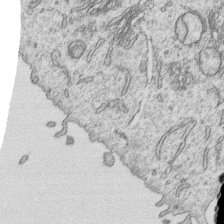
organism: Human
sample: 1205lu cells